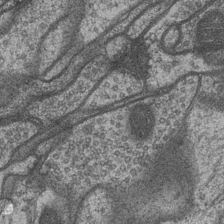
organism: Drosophila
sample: Optic medulla